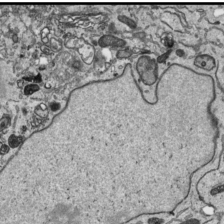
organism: Human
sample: Mitochondria in HCT116 cells